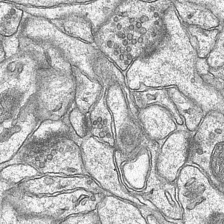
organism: Mouse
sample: CA1 Hippocampus